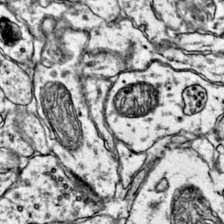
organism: Mouse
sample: Primary visual cortex